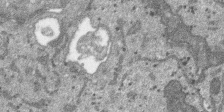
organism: Human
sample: Lung epithelial cells infected with SARS-CoV-2